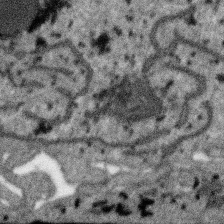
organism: Human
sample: Lung epithelial cells infected with SARS-CoV-2